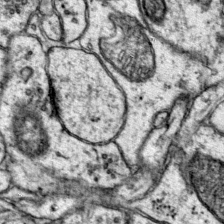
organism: Mouse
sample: Primary visual cortex